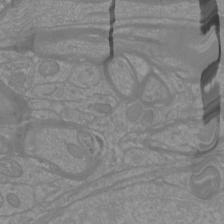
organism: Mouse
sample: Cortical neurons